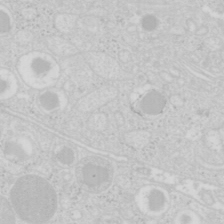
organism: Mouse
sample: Pancreas